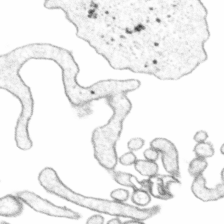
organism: Human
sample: HeLa cells